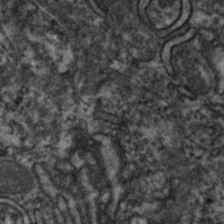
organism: Zebrafish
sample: Zebrafish embryo